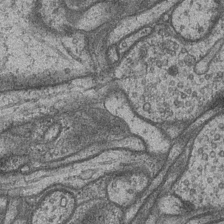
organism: Drosophila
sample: Optic medulla